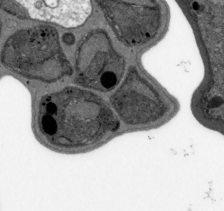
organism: Plasmodium falciparum